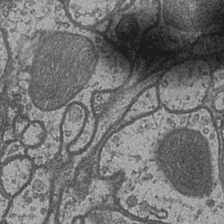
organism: Drosophila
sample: Optic medulla